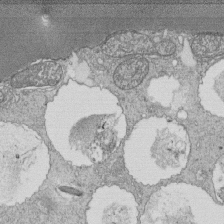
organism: Tetrahymena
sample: Cilia in tetrahymena